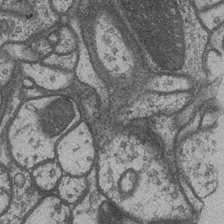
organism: Drosophila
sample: Optic medulla